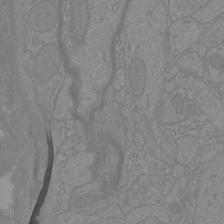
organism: Mouse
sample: Cortical neurons